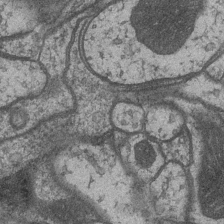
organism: Drosophila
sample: Optic medulla